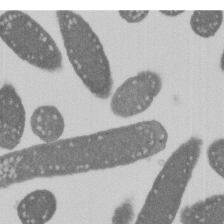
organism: E. coli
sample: Bacterial nucleoid